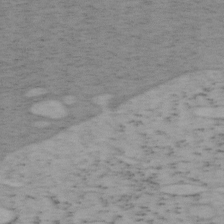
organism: Mouse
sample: OT-I killer T cells with ID8 ovarian cancer cells